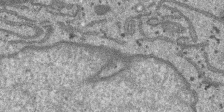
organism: Human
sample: Lung epithelial cells infected with SARS-CoV-2